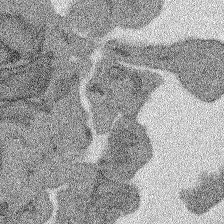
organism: Human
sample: HeLa cells